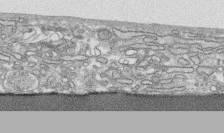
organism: Human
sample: CRL-1474